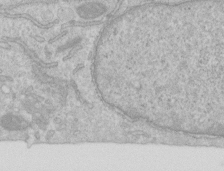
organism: Human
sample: Centriole in RPE cells